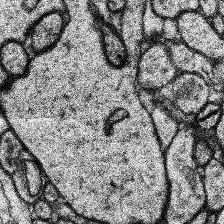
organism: Human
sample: Temporal Lobe